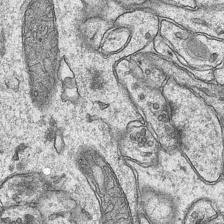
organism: Mouse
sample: CA1 Hippocampus